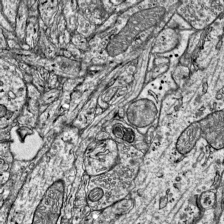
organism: Mouse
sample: Visual Cortex